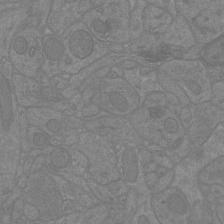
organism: Mouse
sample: Cortical neurons